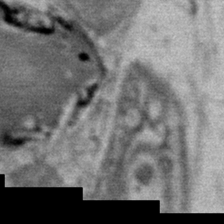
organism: Mouse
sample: Mouse Salivary gland